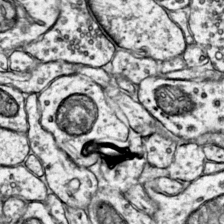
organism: Mouse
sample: Primary visual cortex